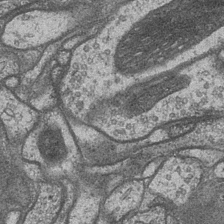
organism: Drosophila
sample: Optic medulla